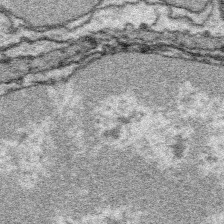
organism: Platynereis dumerilii